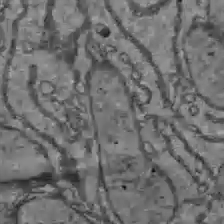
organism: C57BL Mouse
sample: Liver